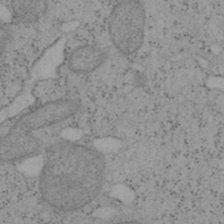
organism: Mouse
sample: OT-I killer T cells with ID8 ovarian cancer cells